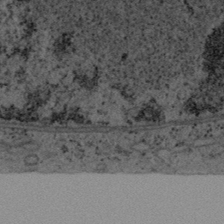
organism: Human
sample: HeLa cells